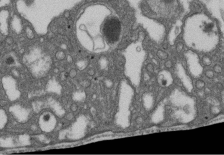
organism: Drosophila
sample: Nephrocyte